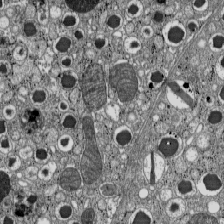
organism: C57BL Mouse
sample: Pancreatic islet